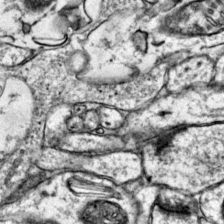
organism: Mouse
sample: Primary visual cortex